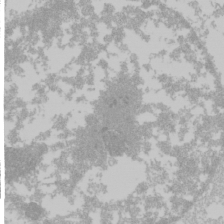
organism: Mouse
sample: Cancer cell death in ED-1 cells